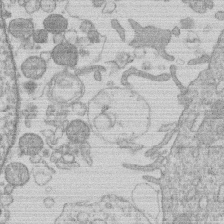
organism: Human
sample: Macrophage cells